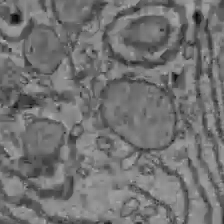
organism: C57BL Mouse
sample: Liver